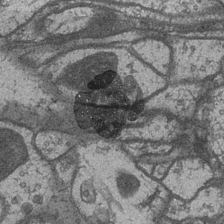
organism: Drosophila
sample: Optic medulla